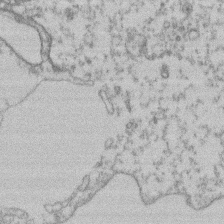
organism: Mouse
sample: T cell stromal cell synapse